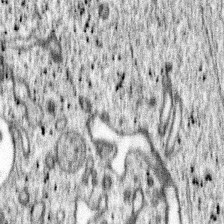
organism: Human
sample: HeLa cells